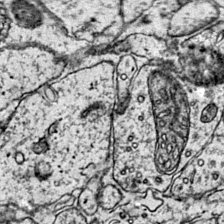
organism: Mouse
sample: Primary visual cortex